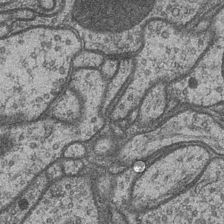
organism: Drosophila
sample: Optic medulla